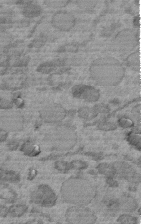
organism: C. elegans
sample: C. elegans embryo early stage